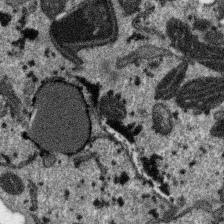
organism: Human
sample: Lung epithelial cells infected with SARS-CoV-2